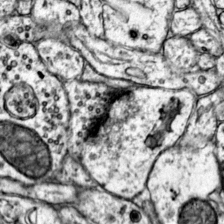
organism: Mouse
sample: Primary visual cortex